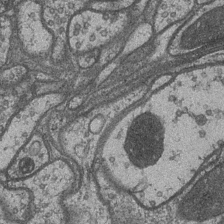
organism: Drosophila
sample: Optic medulla